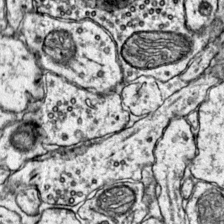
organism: Mouse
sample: Primary visual cortex